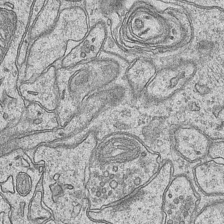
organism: Mouse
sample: CA1 Hippocampus